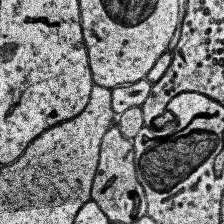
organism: Human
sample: Temporal Lobe